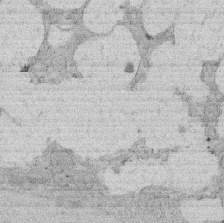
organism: Rat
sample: Salivary granule